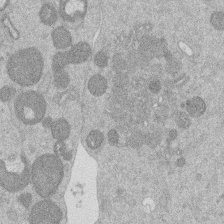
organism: Mouse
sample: Dividing mouse embryo 1 cell stage